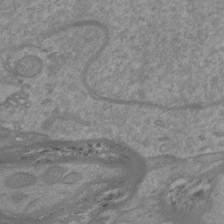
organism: Mouse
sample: Cortical neurons